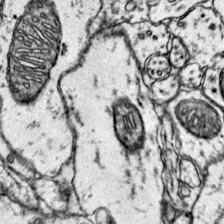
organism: Mouse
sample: Primary visual cortex